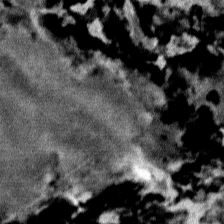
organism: Mouse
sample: Mouse Salivary gland